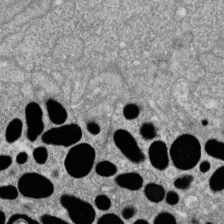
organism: Zebrafish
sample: Cilia; retinal pigment epithelium